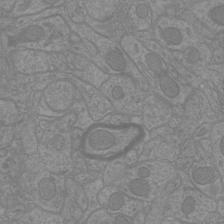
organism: Mouse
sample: Cortical neurons